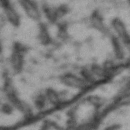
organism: Drosophila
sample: Brain